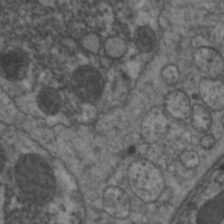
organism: C. elegans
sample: Pharynx